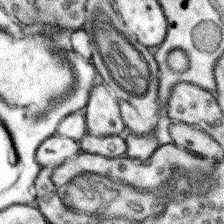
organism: Mouse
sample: Somatosensory cortex neuropil